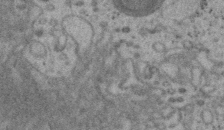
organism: Human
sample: HeLa cells